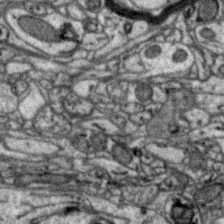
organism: Zebra finch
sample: Brain